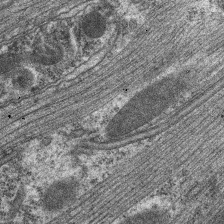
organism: C. elegans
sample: Pharynx